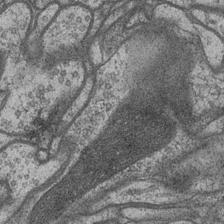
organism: Drosophila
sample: Optic medulla